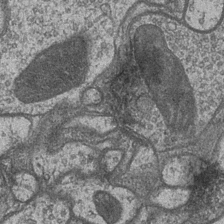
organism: Drosophila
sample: Optic medulla